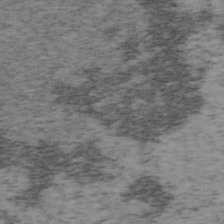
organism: Mouse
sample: OT-I killer T cells with ID8 ovarian cancer cells